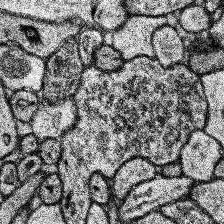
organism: Human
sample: Temporal Lobe